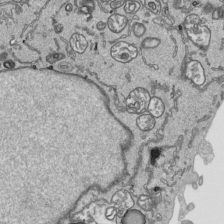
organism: Human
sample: Mitochondria in HCT116 cells